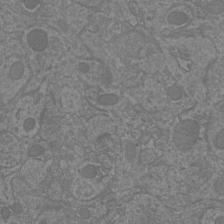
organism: Mouse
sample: Cortical neurons